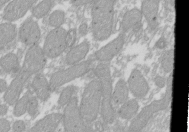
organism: Xenopus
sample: Cilia; centrioles in frog embryo cells